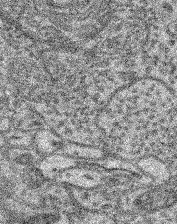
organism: Mouse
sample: Retina